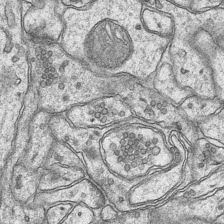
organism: Mouse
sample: CA1 Hippocampus